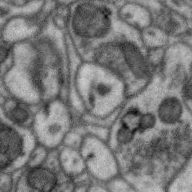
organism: Zebra finch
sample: Brain